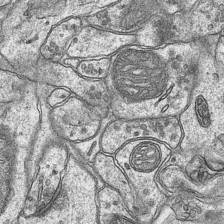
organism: Mouse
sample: CA1 Hippocampus